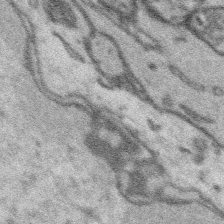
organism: Platynereis dumerilii